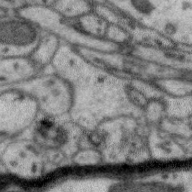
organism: Zebra finch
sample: Brain